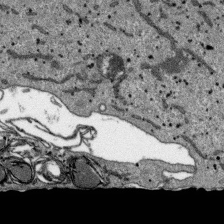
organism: Human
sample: Lung epithelial cells, uninfected (mock) control